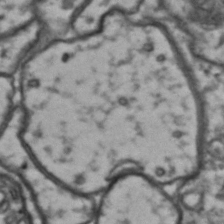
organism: Drosophila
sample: Brain